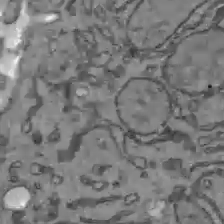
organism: C57BL Mouse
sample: Liver